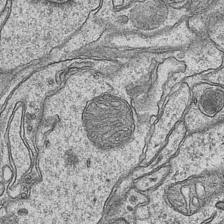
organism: Mouse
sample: CA1 Hippocampus